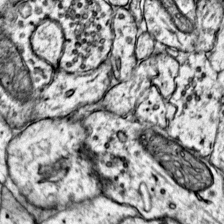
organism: Mouse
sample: Primary visual cortex